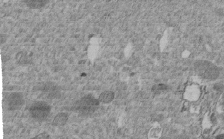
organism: C. elegans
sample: C. elegans embryo early stage